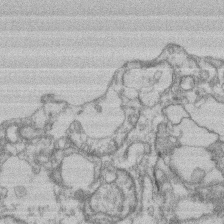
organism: Mouse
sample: T cell stromal cell synapse